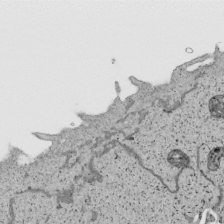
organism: Human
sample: Mitochondria in HCT116 cells